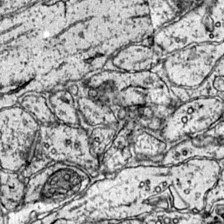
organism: Mouse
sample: Primary visual cortex